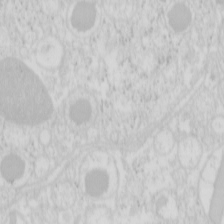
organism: Mouse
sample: Pancreas